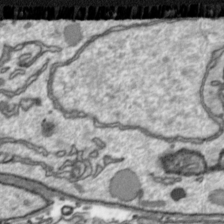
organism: Toxoplasma gondii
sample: Parasites in a vacuole inside a host cell